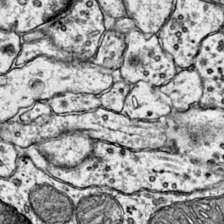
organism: Mouse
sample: Primary visual cortex